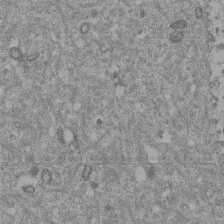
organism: Mouse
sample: Dividing mouse embryo 1 cell stage